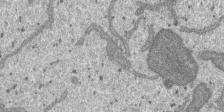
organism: Human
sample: Lung epithelial cells infected with SARS-CoV-2